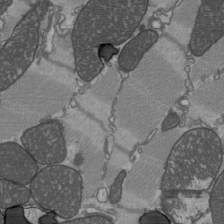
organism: C57BL Mouse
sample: Heart